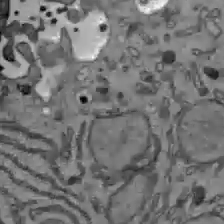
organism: C57BL Mouse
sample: Liver